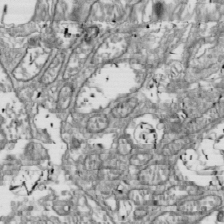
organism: Drosophila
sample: Cell division; meiosis; drosophila spermatocytes